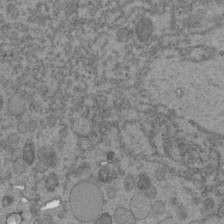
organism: C. elegans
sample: C. elegans embryo early stage